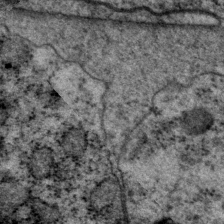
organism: P. pacificus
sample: Pharynx